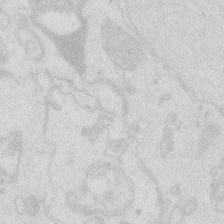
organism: Zebrafish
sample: Macrophage